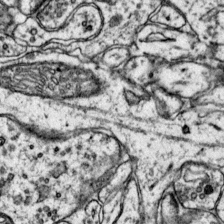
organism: Mouse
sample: Primary visual cortex